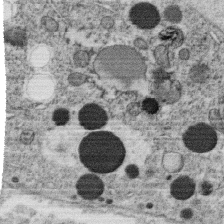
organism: C. elegans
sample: C. elegans oocyte; sperm cells